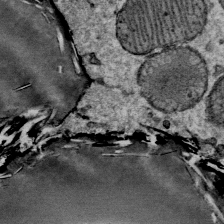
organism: Mouse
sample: Mouse Salivary gland